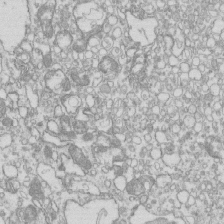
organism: Mouse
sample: Macrophages